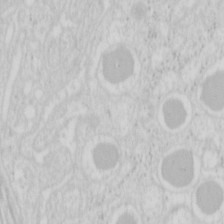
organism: Mouse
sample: Pancreas